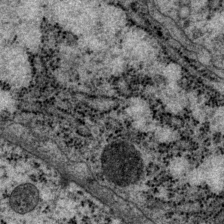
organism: P. pacificus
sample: Pharynx